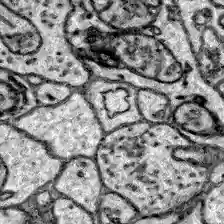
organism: Zebrafish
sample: Brain